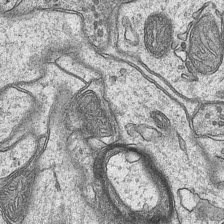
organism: Mouse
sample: CA1 Hippocampus